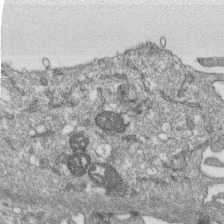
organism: African green monkey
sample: Vero E6 cells infected with SARS-CoV-2